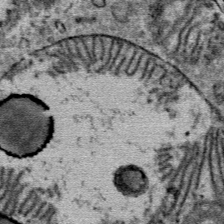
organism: Mouse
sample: Mouse Salivary gland